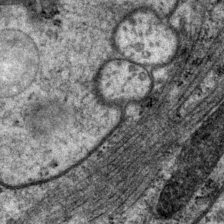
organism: P. pacificus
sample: Pharynx